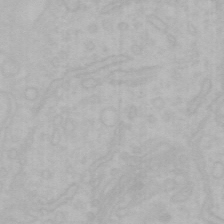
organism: Mouse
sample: Choroid plexus